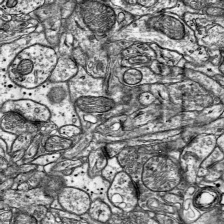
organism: Mouse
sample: Visual Cortex